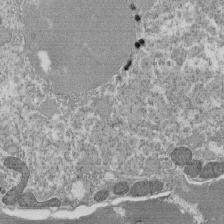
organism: Tetrahymena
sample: Cilia in tetrahymena